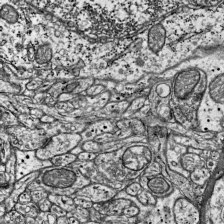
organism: Mouse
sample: Visual Cortex